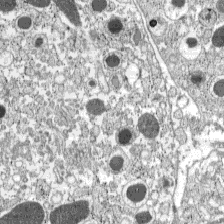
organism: C57BL Mouse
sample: Pancreatic islet